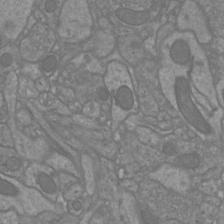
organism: Mouse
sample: Cortical neurons